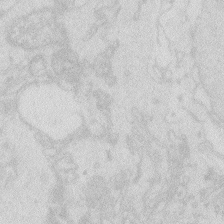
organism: Zebrafish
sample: Macrophage